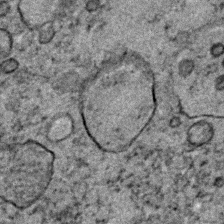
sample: Trachea